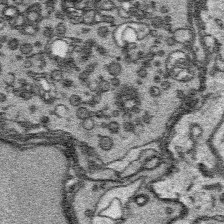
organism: Platynereis dumerilii